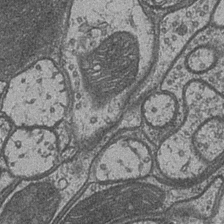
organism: Drosophila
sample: Optic medulla